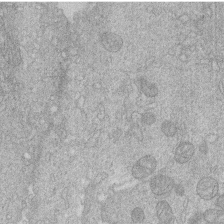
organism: Human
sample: Macrophage cells